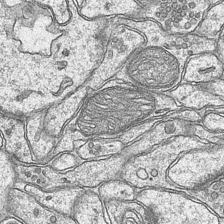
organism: Mouse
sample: CA1 Hippocampus